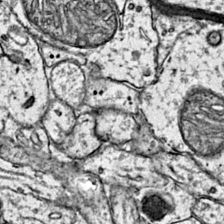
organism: Mouse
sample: Primary visual cortex